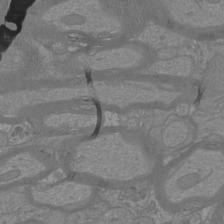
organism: Mouse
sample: Cortical neurons